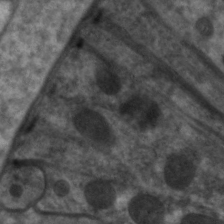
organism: C. elegans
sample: Pharynx